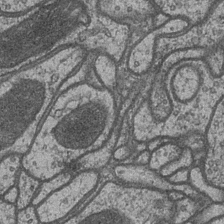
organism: Drosophila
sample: Optic medulla